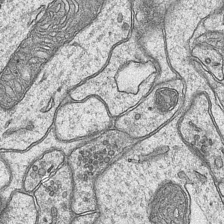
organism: Mouse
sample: CA1 Hippocampus